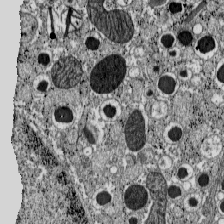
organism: C57BL Mouse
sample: Pancreatic islet